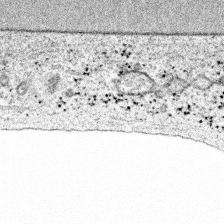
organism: Human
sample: HeLa cells